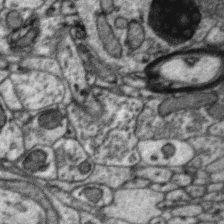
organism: Zebra finch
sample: Brain